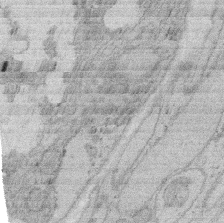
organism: Rat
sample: Salivary granule